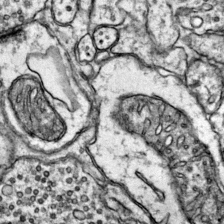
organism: Mouse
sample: Primary visual cortex